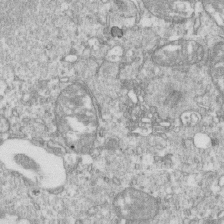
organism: Mouse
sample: Activated OT-1 CD8+ T cells